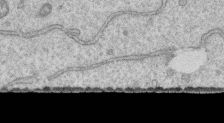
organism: Human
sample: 1205lu cells